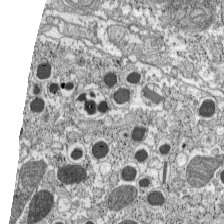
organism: C57BL Mouse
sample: Pancreatic islet